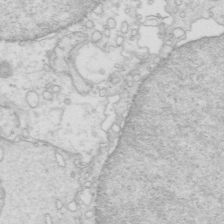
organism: Mouse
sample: Multiciliated cells